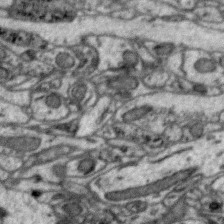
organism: Zebra finch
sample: Brain